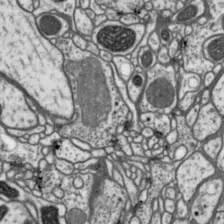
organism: Drosophila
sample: Protocerebral bridge